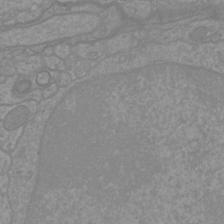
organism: Mouse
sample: Cortical neurons